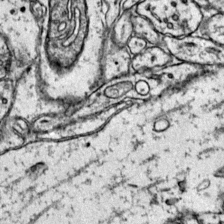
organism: Mouse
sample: Primary visual cortex